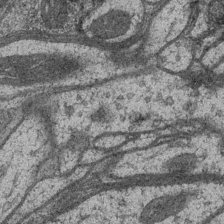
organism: Drosophila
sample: Optic medulla